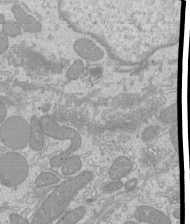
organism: Mouse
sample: Cilia; mouse epididymis